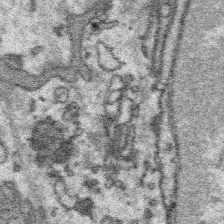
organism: Platynereis dumerilii